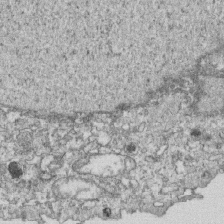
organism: Human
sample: HeLa cell HIV synapse